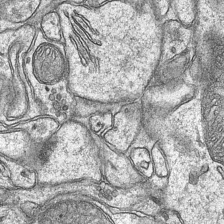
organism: Mouse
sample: CA1 Hippocampus